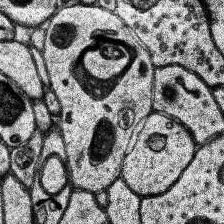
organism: Human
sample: Temporal Lobe